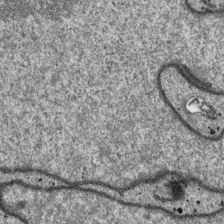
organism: Human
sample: Lung epithelial cells, uninfected (mock) control